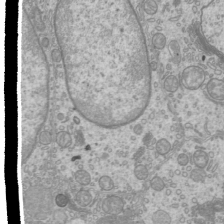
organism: Mouse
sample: Cilia; mouse epididymis